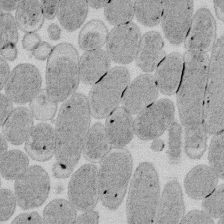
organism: E. coli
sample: Bacterial nucleoid